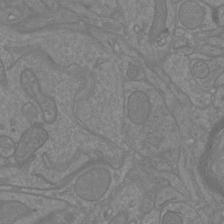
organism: Mouse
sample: Cortical neurons